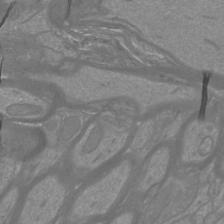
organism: Mouse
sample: Cortical neurons